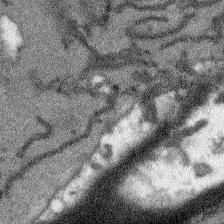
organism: Arabidopsis thaliana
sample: Root tip